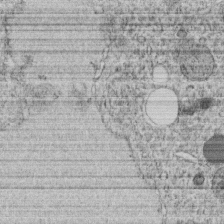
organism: C. elegans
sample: C. elegans embryo early stage